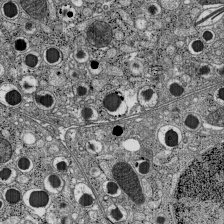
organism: C57BL Mouse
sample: Pancreatic islet